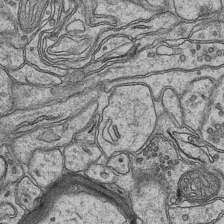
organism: Mouse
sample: CA1 Hippocampus